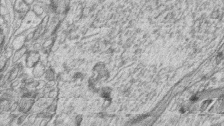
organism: Zebrafish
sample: synaptic ribbons in rod cells and cone cells